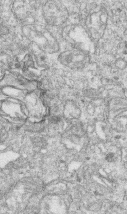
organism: Human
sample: HeLa cell HIV synapse